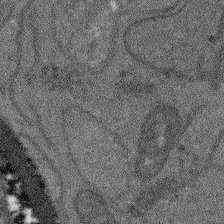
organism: Arabidopsis thaliana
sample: Root tip